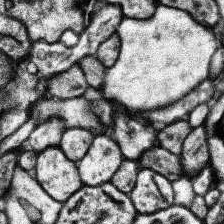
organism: Human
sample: Temporal Lobe